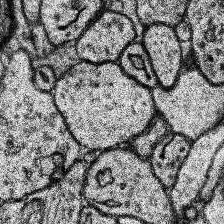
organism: Human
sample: Temporal Lobe